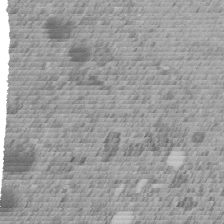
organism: C. elegans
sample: C. elegans embryo early stage